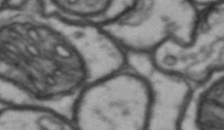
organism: Drosophila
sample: Brain